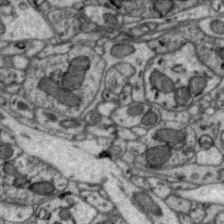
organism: Zebra finch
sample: Brain